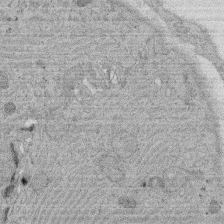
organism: Rat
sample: Salivary granule